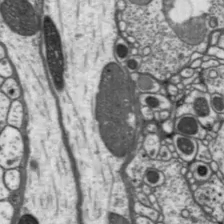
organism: Drosophila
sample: Protocerebral bridge